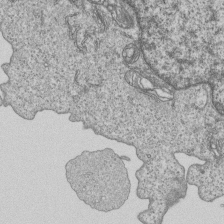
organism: Human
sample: MDA-MB-231 cells